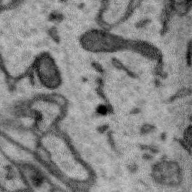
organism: Zebra finch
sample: Brain